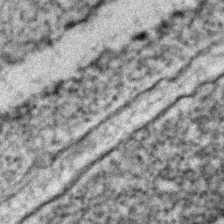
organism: C. elegans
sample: C. elegans embryo